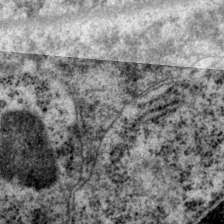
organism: P. pacificus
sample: Pharynx